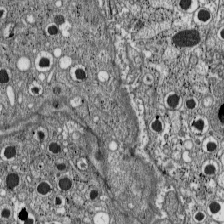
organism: C57BL Mouse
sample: Pancreatic islet